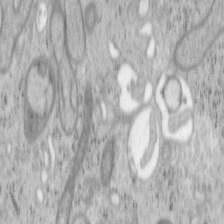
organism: Human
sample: HeLa cells